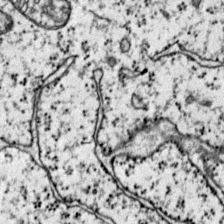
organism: Mouse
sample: Primary visual cortex